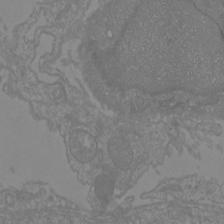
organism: Mouse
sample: Cortical neurons